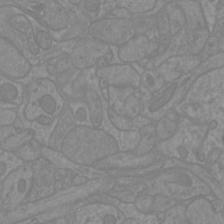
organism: Mouse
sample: Cortical neurons